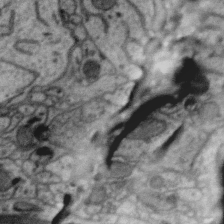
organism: Zebra finch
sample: Brain